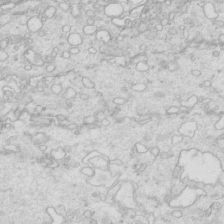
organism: Mouse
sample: Multiciliated cells